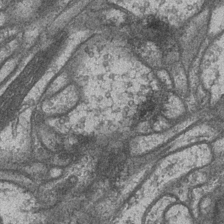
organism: Drosophila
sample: Optic medulla